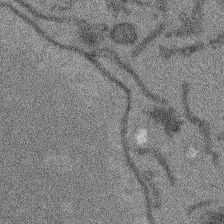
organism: Arabidopsis thaliana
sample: Root tip